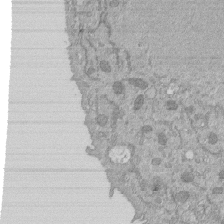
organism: Mouse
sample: ED-1 cell nuclei; centrioles